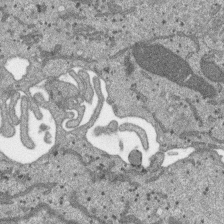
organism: Human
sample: Lung epithelial cells infected with SARS-CoV-2